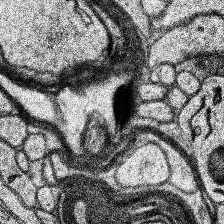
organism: Human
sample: Temporal Lobe